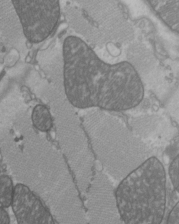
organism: C57BL Mouse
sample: Heart